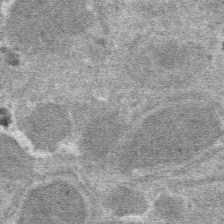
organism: Mouse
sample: Mouse hepatocytes